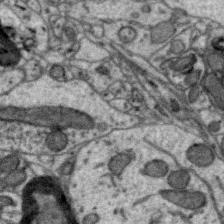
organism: Zebra finch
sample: Brain